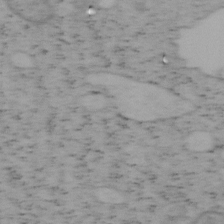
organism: Mouse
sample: OT-I killer T cells with ID8 ovarian cancer cells